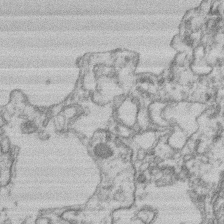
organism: Mouse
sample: T cell stromal cell synapse